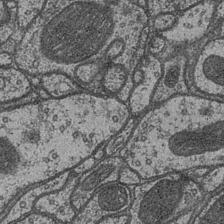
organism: Drosophila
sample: Optic medulla